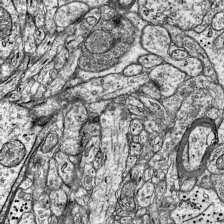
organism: Mouse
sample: Visual Cortex